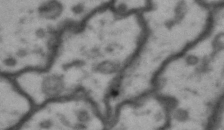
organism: Drosophila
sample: Brain